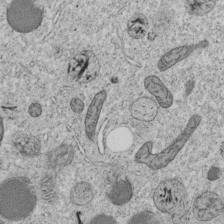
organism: C. elegans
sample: C. elegans embryo early stage